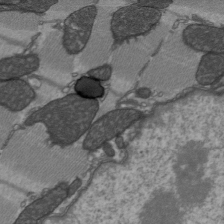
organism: C57BL Mouse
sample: Heart